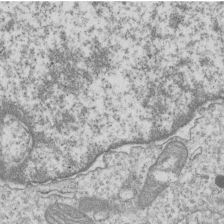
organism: Human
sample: MDA-MB-231 cells